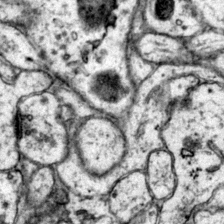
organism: Mouse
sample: Primary visual cortex